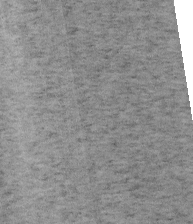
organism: Mouse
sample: OT-I killer T cells with ID8 ovarian cancer cells